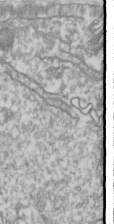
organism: Drosophila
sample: Cell division; meiosis; drosophila spermatocytes